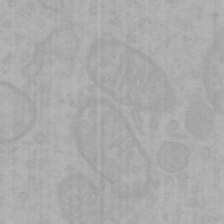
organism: Mouse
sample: Choroid plexus